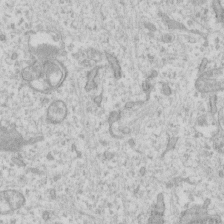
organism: Human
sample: Fibroblast cells